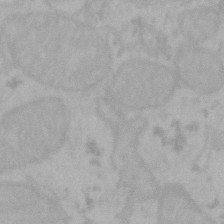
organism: Mouse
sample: Choroid plexus